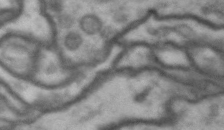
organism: Drosophila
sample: Brain